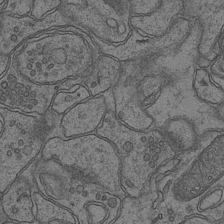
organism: Mouse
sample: CA1 Hippocampus